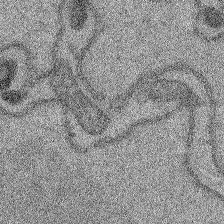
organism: Human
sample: HeLa cells